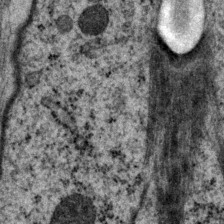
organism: P. pacificus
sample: Pharynx